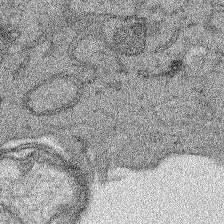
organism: Human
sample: HeLa cells